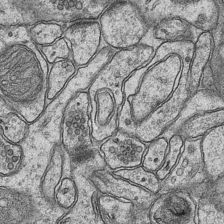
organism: Mouse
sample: CA1 Hippocampus